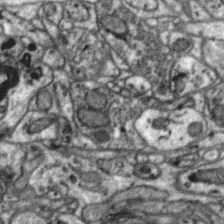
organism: Zebra finch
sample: Brain